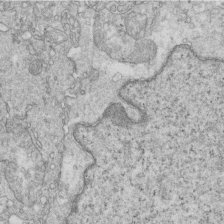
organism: Mouse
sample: Multiciliated cells